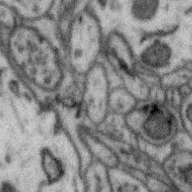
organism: Zebra finch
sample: Brain